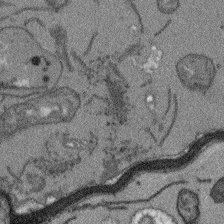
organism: Arabidopsis thaliana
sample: Root tip